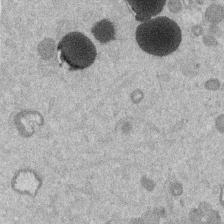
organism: Mouse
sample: Dividing mouse embryo 1 cell stage